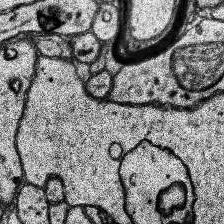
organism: Human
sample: Temporal Lobe